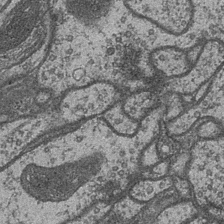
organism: Drosophila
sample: Optic medulla